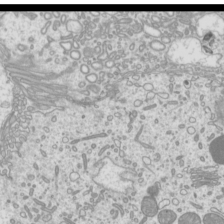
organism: Mouse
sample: Cilia; mouse epididymis